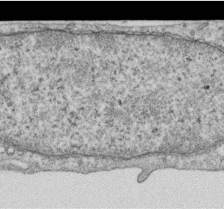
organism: Human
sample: Centriole in RPE cells